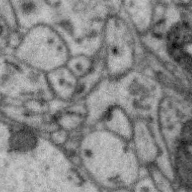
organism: Zebra finch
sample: Brain